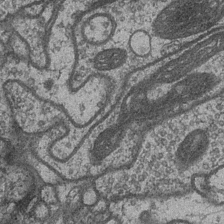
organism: Drosophila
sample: Optic medulla